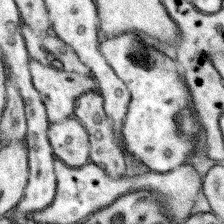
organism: Mouse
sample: Somatosensory cortex neuropil